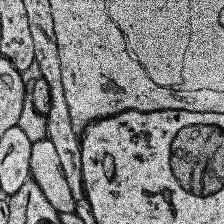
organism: Human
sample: Temporal Lobe